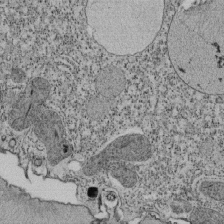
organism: Tetrahymena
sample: Cilia in tetrahymena